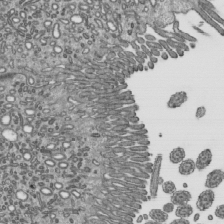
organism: Mouse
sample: Mouse epididymis efferent ductule cilia